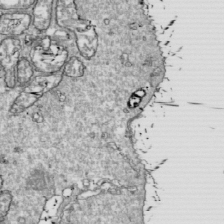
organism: Drosophila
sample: Cell division; meiosis; drosophila spermatocytes